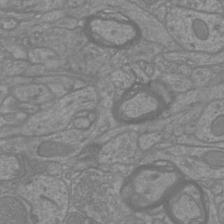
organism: Mouse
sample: Cortical neurons